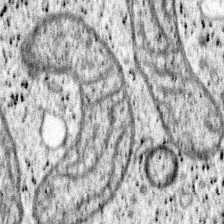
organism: Human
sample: HeLa cells